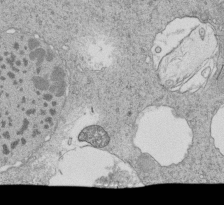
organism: Tetrahymena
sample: Cilia in tetrahymena